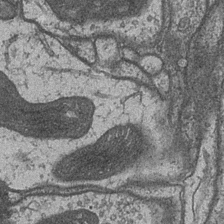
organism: Drosophila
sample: Optic medulla